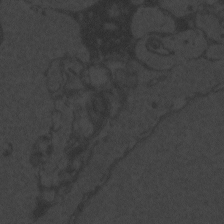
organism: Zebrafish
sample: Macrophage infected with Toxoplasma gondii